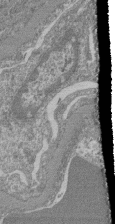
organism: Mouse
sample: Glomerulus